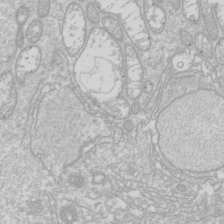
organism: Drosophila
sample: Cell division; meiosis; drosophila spermatocytes